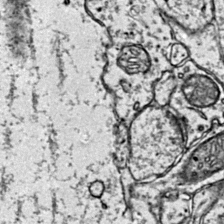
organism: Mouse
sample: Primary visual cortex